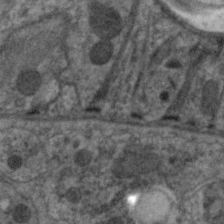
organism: C. elegans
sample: Pharynx